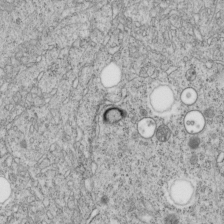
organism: C. elegans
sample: C. elegans embryo early stage